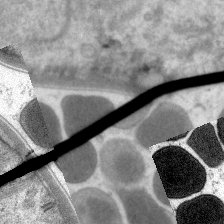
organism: C. elegans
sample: Pharynx